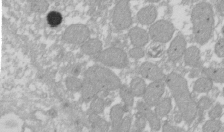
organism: Xenopus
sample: Cilia; centrioles in frog embryo cells